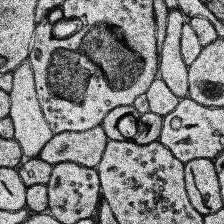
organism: Human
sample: Temporal Lobe